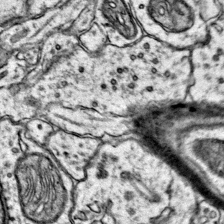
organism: Mouse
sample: Primary visual cortex